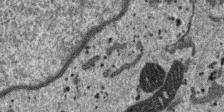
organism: Human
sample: Lung epithelial cells infected with SARS-CoV-2